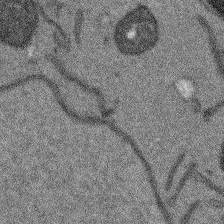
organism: Arabidopsis thaliana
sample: Root tip